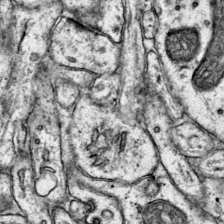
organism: Mouse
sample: Primary visual cortex